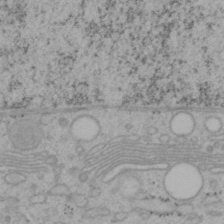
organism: Human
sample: HeLa cells